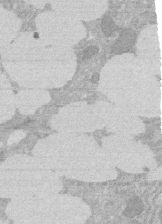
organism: Rat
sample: Salivary granule